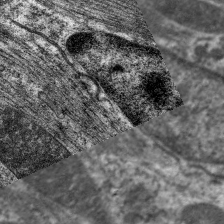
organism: C. elegans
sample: Pharynx